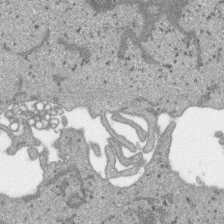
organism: Human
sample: Lung epithelial cells infected with SARS-CoV-2